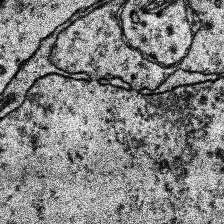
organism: Human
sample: Temporal Lobe